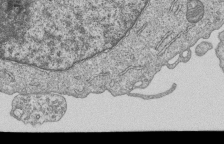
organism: Human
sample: MDA-MB-231 cells